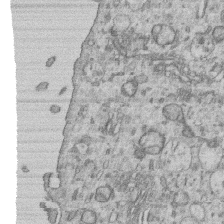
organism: Human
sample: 1205lu cells